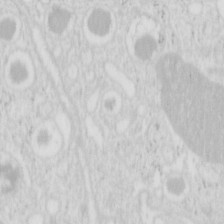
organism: Mouse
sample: Pancreas